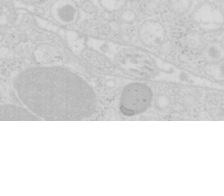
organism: Mouse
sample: Pancreas